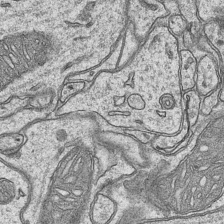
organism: Mouse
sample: CA1 Hippocampus